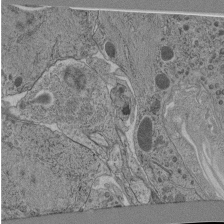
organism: C. elegans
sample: C. elegans pharynx